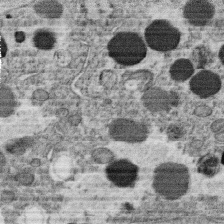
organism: C. elegans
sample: C. elegans oocyte; sperm cells